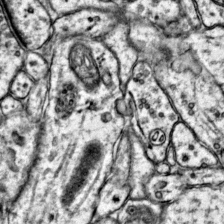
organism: Mouse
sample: Primary visual cortex